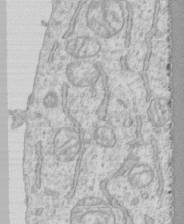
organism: Human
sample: CRL-1474